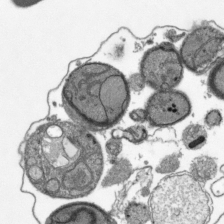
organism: Plasmodium falciparum